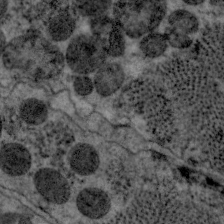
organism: C. elegans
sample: Pharynx